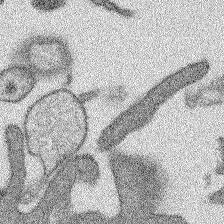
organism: Human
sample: HeLa cells